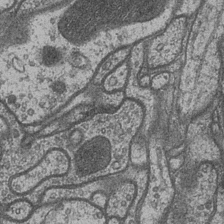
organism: Drosophila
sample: Optic medulla